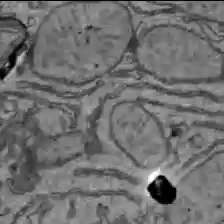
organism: C57BL Mouse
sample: Liver